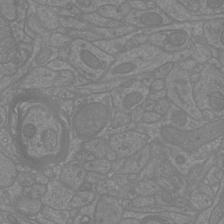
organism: Mouse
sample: Cortical neurons